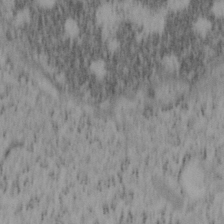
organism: Mouse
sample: OT-I killer T cells with ID8 ovarian cancer cells